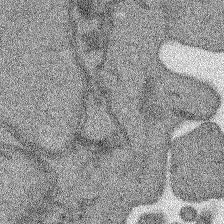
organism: Human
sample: HeLa cells